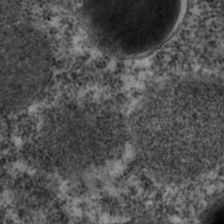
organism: C. elegans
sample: C. elegans embryo